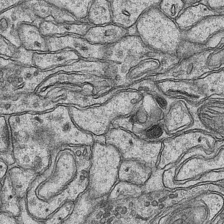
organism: Mouse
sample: CA1 Hippocampus